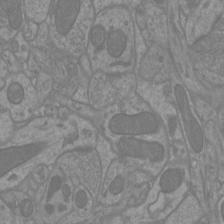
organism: Mouse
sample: Cortical neurons